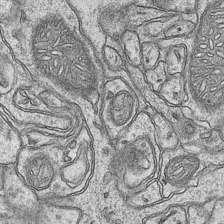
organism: Mouse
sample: CA1 Hippocampus